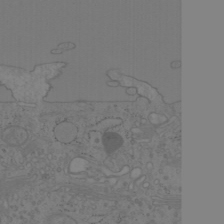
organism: Human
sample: HeLa cells